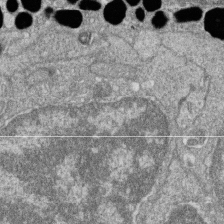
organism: Zebrafish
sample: Cilia; retinal pigment epithelium